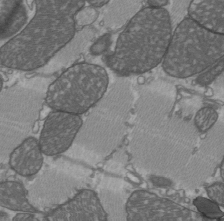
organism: C57BL Mouse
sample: Heart